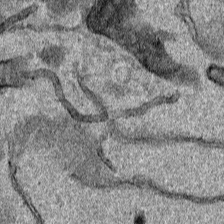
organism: Human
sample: Mitochondria in HCT116 cells